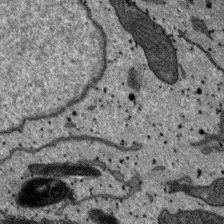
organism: Human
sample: Lung epithelial cells, uninfected (mock) control